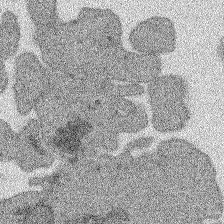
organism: Human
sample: HeLa cells